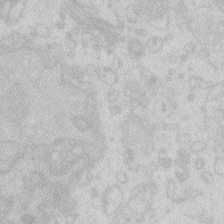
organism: Zebrafish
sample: Macrophage